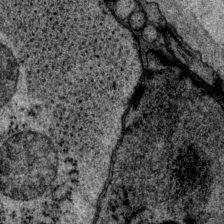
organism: P. pacificus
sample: Pharynx